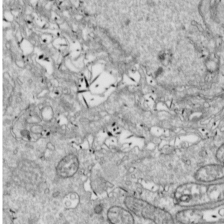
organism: Drosophila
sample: Cell division; meiosis; drosophila spermatocytes